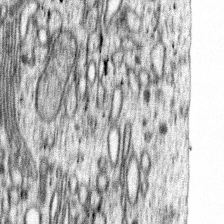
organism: Human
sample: HeLa cells